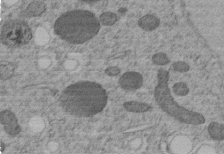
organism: C. elegans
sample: C. elegans embryo early stage